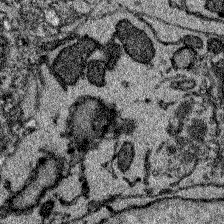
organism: Zebrafish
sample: Larval olfactory bulb